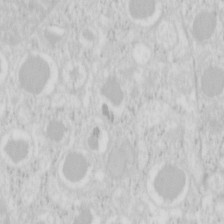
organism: Mouse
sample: Pancreas